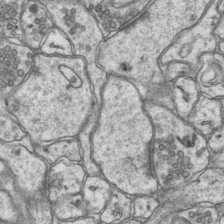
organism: Mouse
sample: CA1 Hippocampus